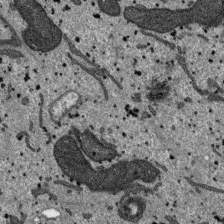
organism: Human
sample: Lung epithelial cells, uninfected (mock) control